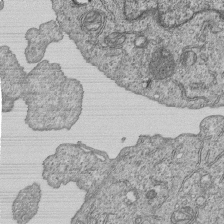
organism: Human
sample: MDA-MB-231 cells